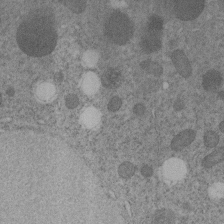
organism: C. elegans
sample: C. elegans embryo early stage